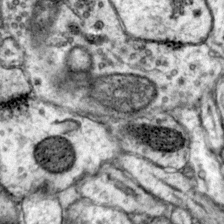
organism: Mouse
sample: Primary visual cortex